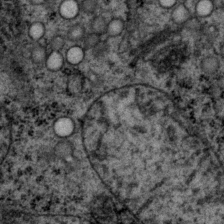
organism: P. pacificus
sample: Pharynx